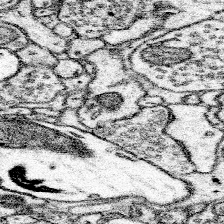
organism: Mouse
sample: Somatosensory cortex neuropil